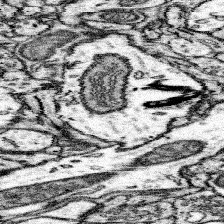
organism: Mouse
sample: Somatosensory cortex neuropil